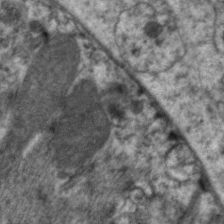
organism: C. elegans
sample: Pharynx